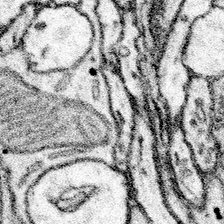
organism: Mouse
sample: Somatosensory cortex neuropil